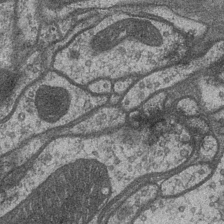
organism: Drosophila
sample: Optic medulla